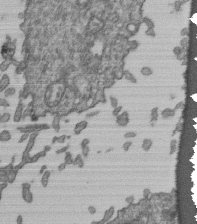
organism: Human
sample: Retinal organoid Rod and Cone cells